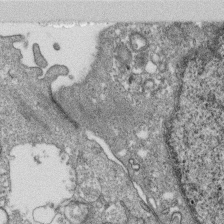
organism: African green monkey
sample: Vero E6 cells infected with SARS-CoV-2